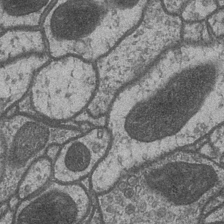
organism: Drosophila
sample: Optic medulla